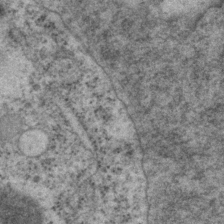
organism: P. pacificus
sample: Pharynx